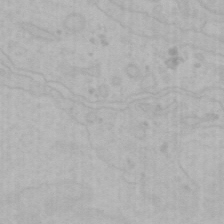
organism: Mouse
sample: Choroid plexus